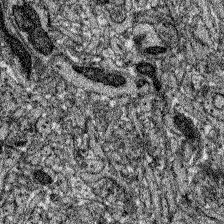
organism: Zebrafish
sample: Larval olfactory bulb